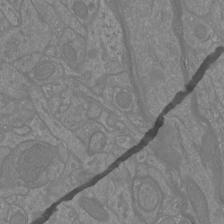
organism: Mouse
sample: Cortical neurons